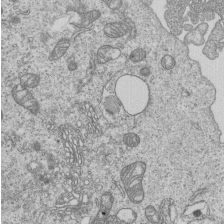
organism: Human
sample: MDA-MB-231 cells